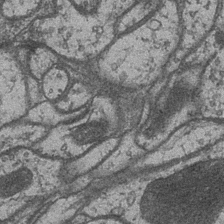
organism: Drosophila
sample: Optic medulla